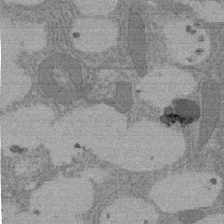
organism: Rat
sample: Salivary granule